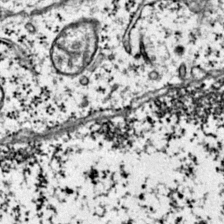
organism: Mouse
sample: Primary visual cortex